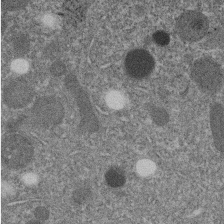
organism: C. elegans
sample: C. elegans embryo early stage